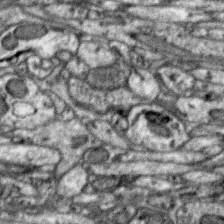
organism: Zebra finch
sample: Brain